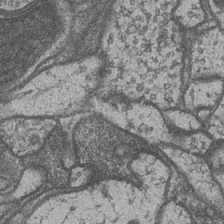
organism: Drosophila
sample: Optic medulla